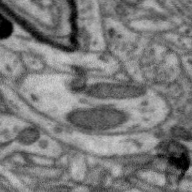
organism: Zebra finch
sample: Brain